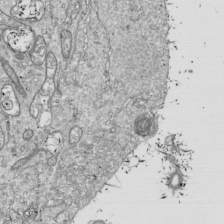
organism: Drosophila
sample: Cell division; meiosis; drosophila spermatocytes